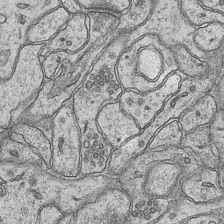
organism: Mouse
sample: CA1 Hippocampus